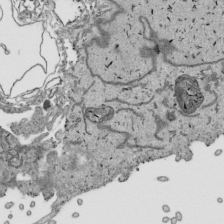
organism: Human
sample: Mitochondria in HCT116 cells